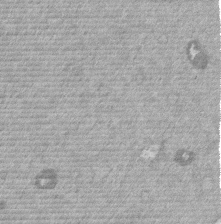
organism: Mouse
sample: Dividing mouse embryo 1 cell stage